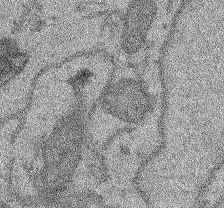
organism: Human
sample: HeLa cells